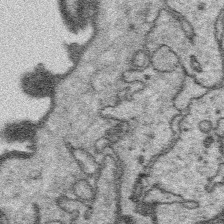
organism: Platynereis dumerilii